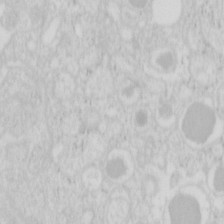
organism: Mouse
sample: Pancreas